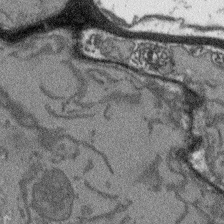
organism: Arabidopsis thaliana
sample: Root tip